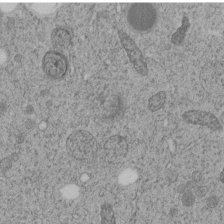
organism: C. elegans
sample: C. elegans embryo early stage